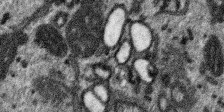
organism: Human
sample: Lung epithelial cells infected with SARS-CoV-2